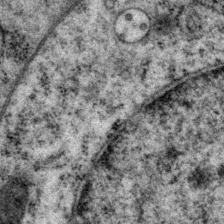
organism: P. pacificus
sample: Pharynx